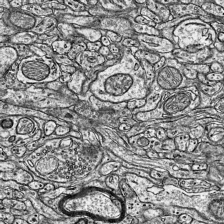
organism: Mouse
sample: Visual Cortex